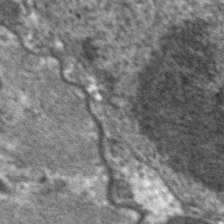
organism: C. elegans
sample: Pharynx